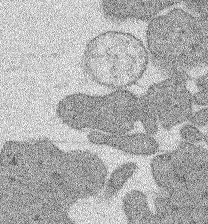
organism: Human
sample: HeLa cells